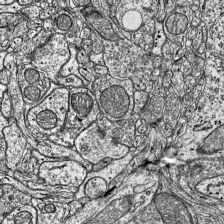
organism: Mouse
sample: Visual Cortex